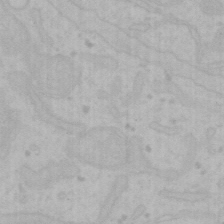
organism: Mouse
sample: Choroid plexus